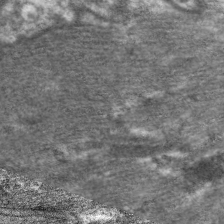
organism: C. elegans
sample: Pharynx